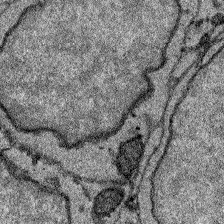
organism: Zebrafish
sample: Larval olfactory bulb